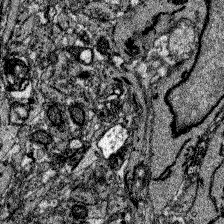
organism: Zebrafish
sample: Larval olfactory bulb